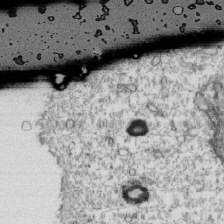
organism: Mouse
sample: Activated OT-1 CD8+ T cells